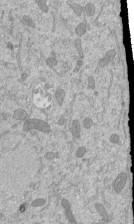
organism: Mouse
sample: ED-1 cell nuclei; centrioles